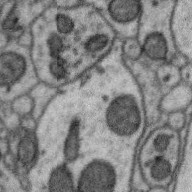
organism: Zebra finch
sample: Brain